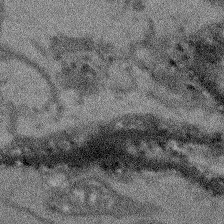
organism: Arabidopsis thaliana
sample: Root tip